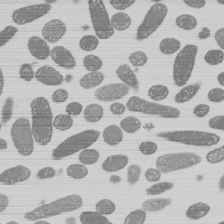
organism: E. coli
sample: Bacterial nucleoid